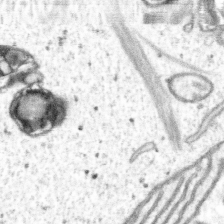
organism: Human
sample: HeLa cells